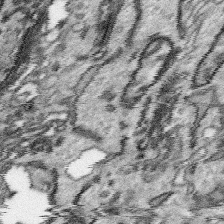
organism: Human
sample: HeLa cells